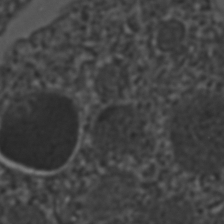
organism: C. elegans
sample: C. elegans embryo